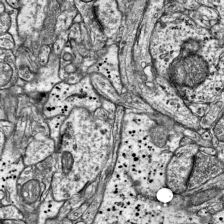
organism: Mouse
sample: Visual Cortex